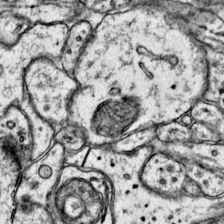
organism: Mouse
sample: Primary visual cortex